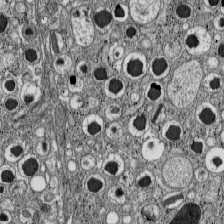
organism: C57BL Mouse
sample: Pancreatic islet